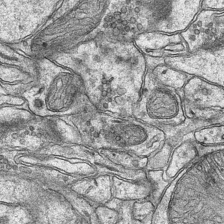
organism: Mouse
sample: CA1 Hippocampus